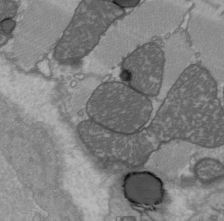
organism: C57BL Mouse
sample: Heart